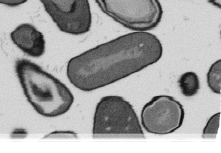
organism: B. subtilis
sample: Bacterial spore